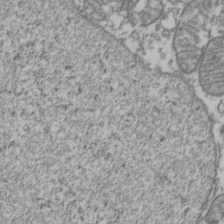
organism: Human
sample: Activated Jurkat CD4+ T cells